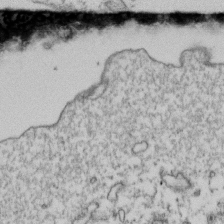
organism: Human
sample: Activated Jurkat CD4+ T cells